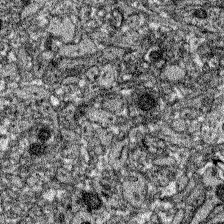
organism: Zebrafish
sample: Larval olfactory bulb